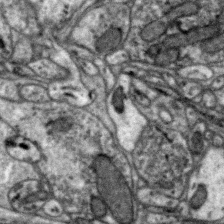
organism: Zebra finch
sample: Brain